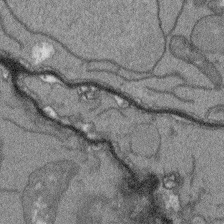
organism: Arabidopsis thaliana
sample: Root tip